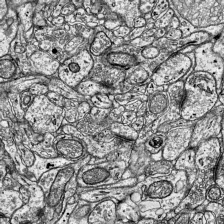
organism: Mouse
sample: Visual Cortex